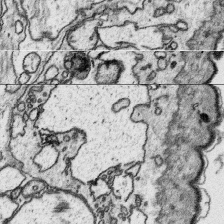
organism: Platynereis dumerilii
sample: Parapodia